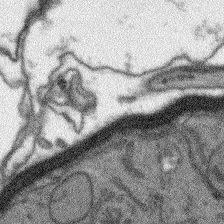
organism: Arabidopsis thaliana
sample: Root tip